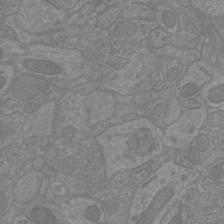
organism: Mouse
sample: Cortical neurons